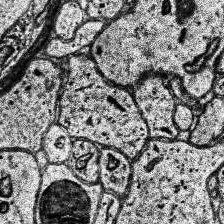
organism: Human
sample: Temporal Lobe